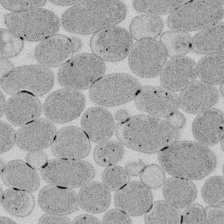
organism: E. coli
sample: Bacterial nucleoid